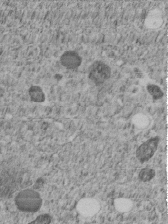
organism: C. elegans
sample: C. elegans embryo early stage